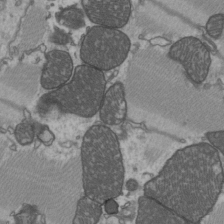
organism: C57BL Mouse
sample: Heart